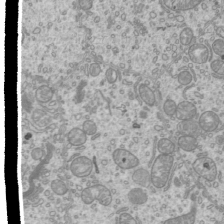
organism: Mouse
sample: Cilia; mouse epididymis